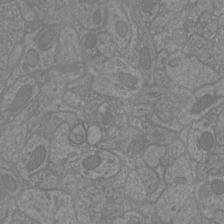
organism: Mouse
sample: Cortical neurons